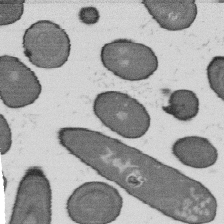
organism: B. subtilis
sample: Bacterial spore